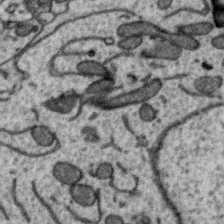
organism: Zebra finch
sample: Brain